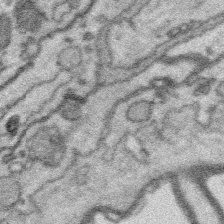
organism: Platynereis dumerilii